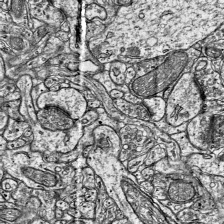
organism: Mouse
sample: Visual Cortex